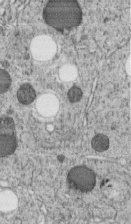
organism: C. elegans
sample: C. elegans embryo early stage